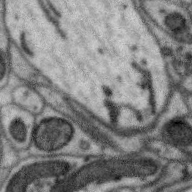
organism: Zebra finch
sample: Brain